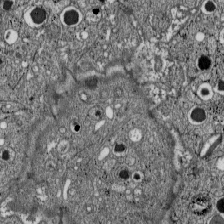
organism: C57BL Mouse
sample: Pancreatic islet